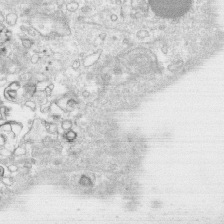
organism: Human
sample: CRL-1474